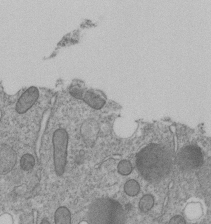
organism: C. elegans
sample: C. elegans embryo early stage